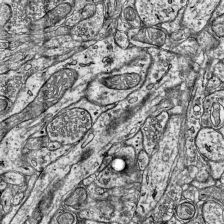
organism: Mouse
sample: Visual Cortex